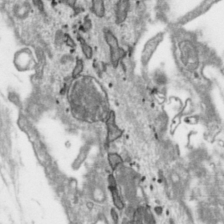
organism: Toxoplasma gondii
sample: Parasites in a vacuole inside a host cell